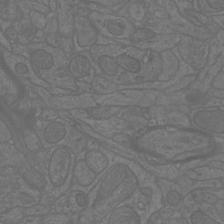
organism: Mouse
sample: Cortical neurons